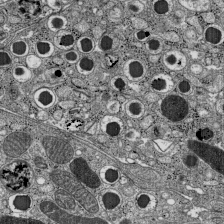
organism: C57BL Mouse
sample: Pancreatic islet